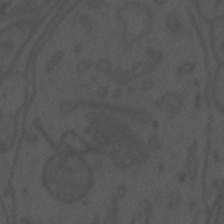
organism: Mouse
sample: Suprachiasmatic nucleus